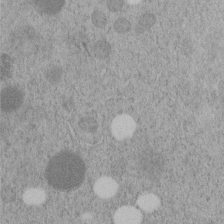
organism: C. elegans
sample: C. elegans embryo early stage